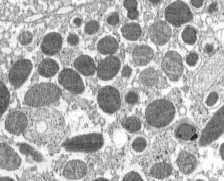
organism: C57BL Mouse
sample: Pancreatic islet